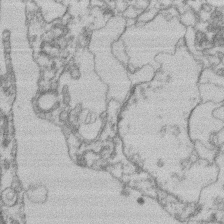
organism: Mouse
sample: T cell stromal cell synapse